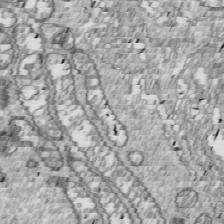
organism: Drosophila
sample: Cell division; meiosis; drosophila spermatocytes